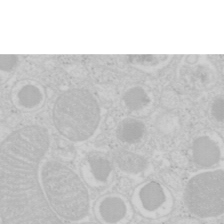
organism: Mouse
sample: Pancreas